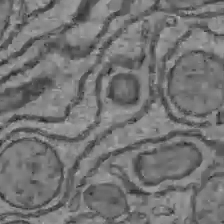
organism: C57BL Mouse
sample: Liver